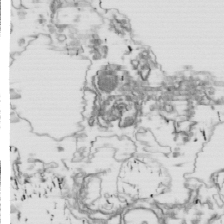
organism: Drosophila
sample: Cell division; meiosis; drosophila spermatocytes